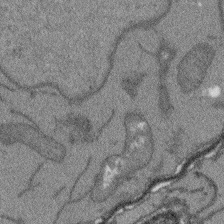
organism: Arabidopsis thaliana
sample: Root tip